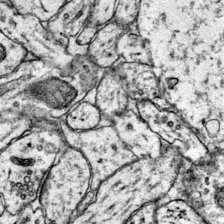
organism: Mouse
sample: Primary visual cortex